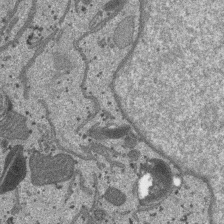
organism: Human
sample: Lung epithelial cells infected with SARS-CoV-2